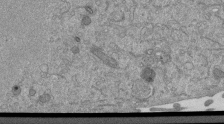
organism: Mouse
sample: ED-1 cell nuclei; centrioles